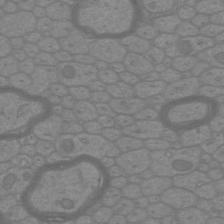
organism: Mouse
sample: Cortical neurons